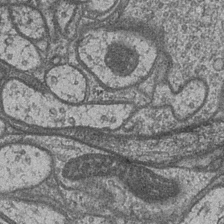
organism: Drosophila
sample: Optic medulla